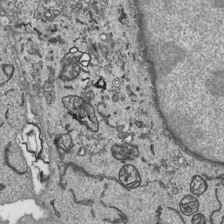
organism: Human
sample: Mitochondria in HCT116 cells